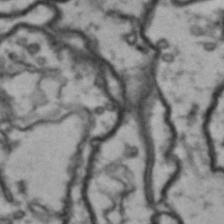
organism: Drosophila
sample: Brain